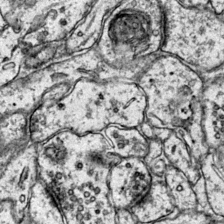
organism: Mouse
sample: Primary visual cortex